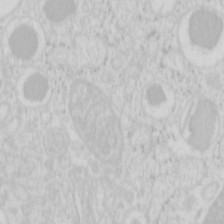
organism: Mouse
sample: Pancreas